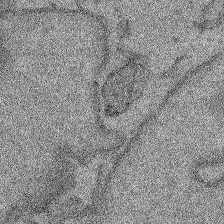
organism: Human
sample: HeLa cells